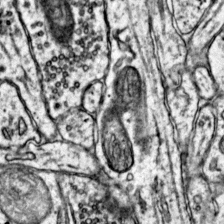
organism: Mouse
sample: Primary visual cortex